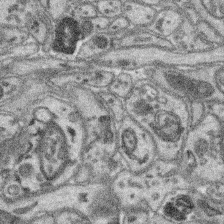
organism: Mouse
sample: Retina